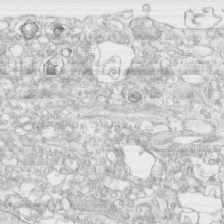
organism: Human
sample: CRL-1474